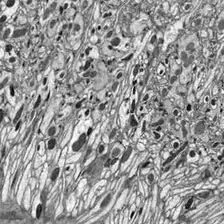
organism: Drosophila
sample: Optic lobe